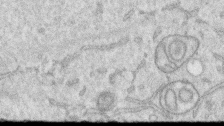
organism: Human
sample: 1205lu cells